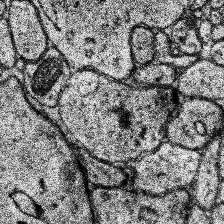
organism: Human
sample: Temporal Lobe